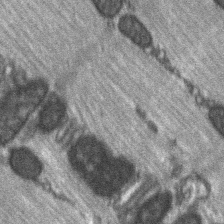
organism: C57BL Mouse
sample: Soleus